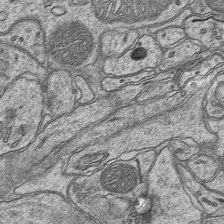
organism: Mouse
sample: CA1 Hippocampus